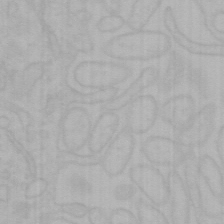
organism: Mouse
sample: Choroid plexus